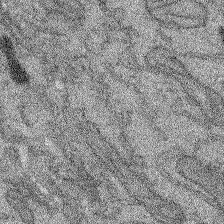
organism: Human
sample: HeLa cells